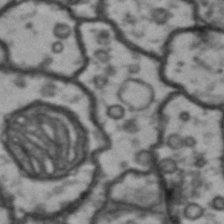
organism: Drosophila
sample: Brain